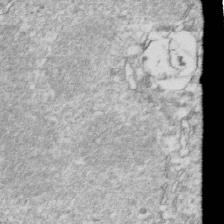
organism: Mouse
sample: Activated OT-1 CD8+ T cells